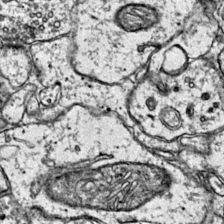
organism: Mouse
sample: Primary visual cortex